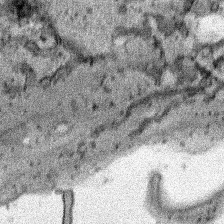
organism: Human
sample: Mitochondria in HCT116 cells